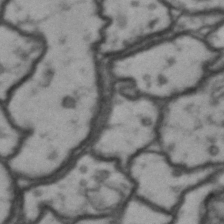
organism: Drosophila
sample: Brain